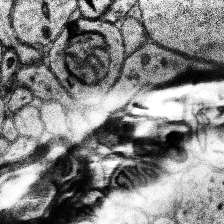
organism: Human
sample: Temporal Lobe